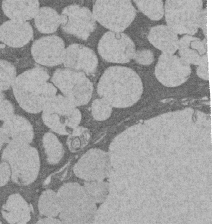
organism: Rat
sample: Salivary granule